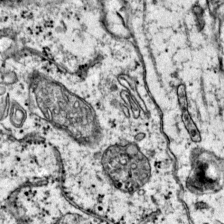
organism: Mouse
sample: Primary visual cortex